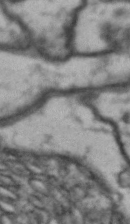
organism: Drosophila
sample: Brain